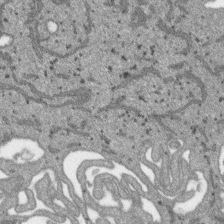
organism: Human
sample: Lung epithelial cells infected with SARS-CoV-2